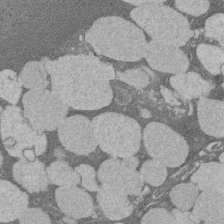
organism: Rat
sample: Salivary granule